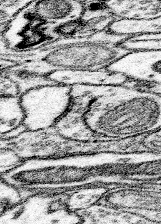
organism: Mouse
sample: Somatosensory cortex neuropil